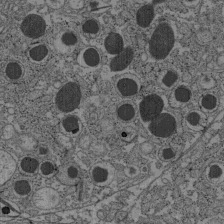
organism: C57BL Mouse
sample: Pancreatic islet